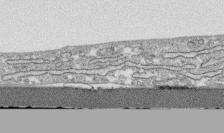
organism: Human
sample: CRL-1474